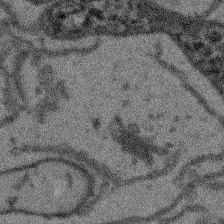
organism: Arabidopsis thaliana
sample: Root tip